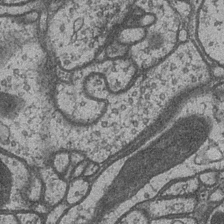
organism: Drosophila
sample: Optic medulla